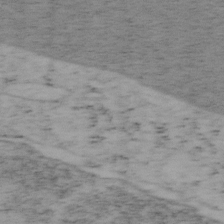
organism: Mouse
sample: OT-I killer T cells with ID8 ovarian cancer cells